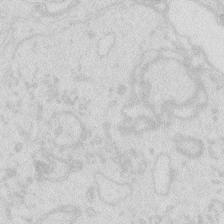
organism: Zebrafish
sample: Macrophage